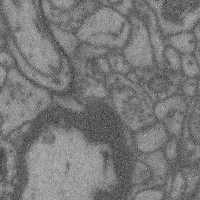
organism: Mouse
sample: Cerebral cortex